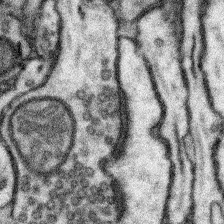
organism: Mouse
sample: Somatosensory cortex neuropil